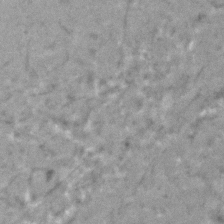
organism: Human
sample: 1205lu cells